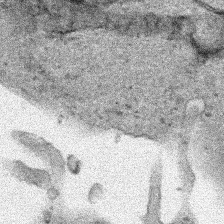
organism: Human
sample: Mitochondria in HCT116 cells